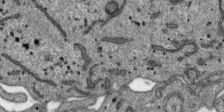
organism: Human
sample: Lung epithelial cells, uninfected (mock) control